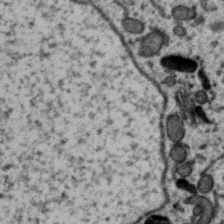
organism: Zebra finch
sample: Brain